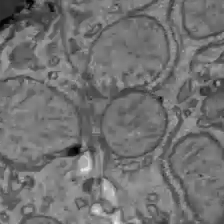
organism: C57BL Mouse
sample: Liver